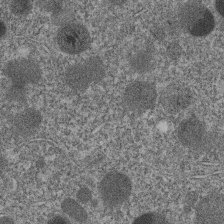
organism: C. elegans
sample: C. elegans embryo early stage